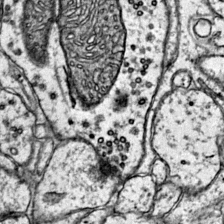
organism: Mouse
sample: Primary visual cortex